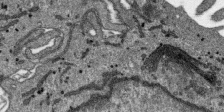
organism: Human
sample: Lung epithelial cells, uninfected (mock) control